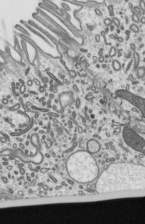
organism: Mouse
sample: Mouse epididymis efferent ductule cilia